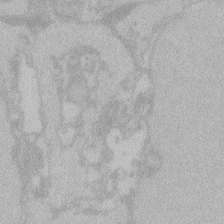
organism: Zebrafish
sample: Macrophage infected with Toxoplasma gondii